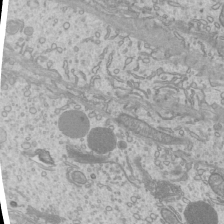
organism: Mouse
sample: Cilia; mouse epididymis